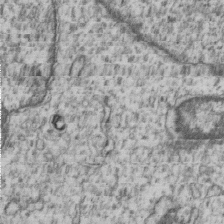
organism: Human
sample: MDA-MB-231 cells